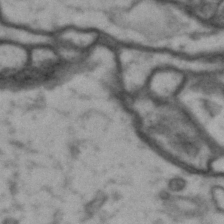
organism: Drosophila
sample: Brain